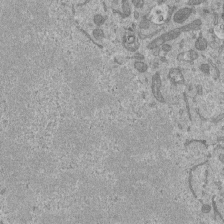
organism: Mouse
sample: ED-1 cell nuclei; centrioles